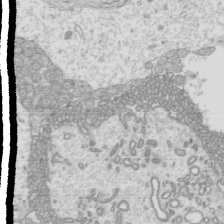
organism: Mouse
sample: Cilia; mouse epididymis